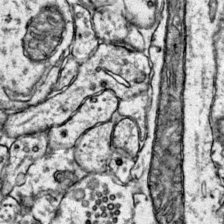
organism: Mouse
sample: Primary visual cortex